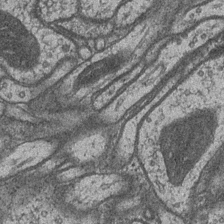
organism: Drosophila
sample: Optic medulla